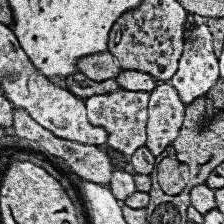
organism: Human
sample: Temporal Lobe